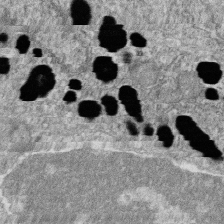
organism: Zebrafish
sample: Cilia; retinal pigment epithelium